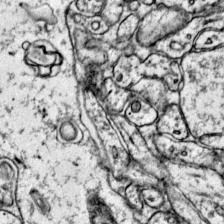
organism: Mouse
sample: Primary visual cortex